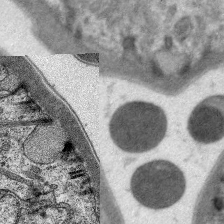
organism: C. elegans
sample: Pharynx